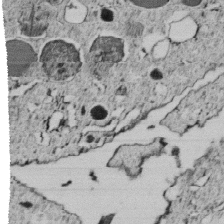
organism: C. elegans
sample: C. elegans embryo early stage